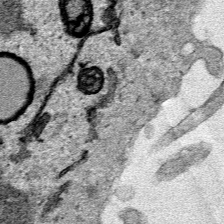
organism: Human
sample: Mitochondria in HCT116 cells